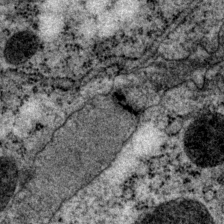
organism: P. pacificus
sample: Pharynx